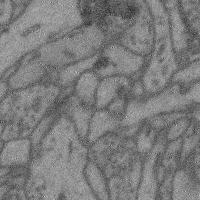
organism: Mouse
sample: Cerebral cortex